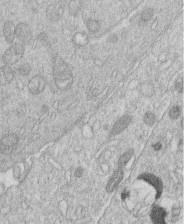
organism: Human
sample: Macrophage cells